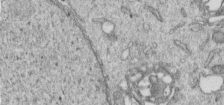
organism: Human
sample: Centriole in RPE cells